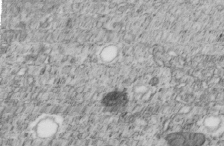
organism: C. elegans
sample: C. elegans embryo early stage